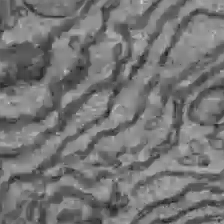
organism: C57BL Mouse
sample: Liver